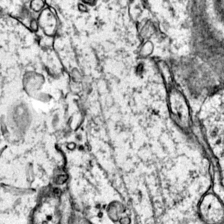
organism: Mouse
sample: Primary visual cortex